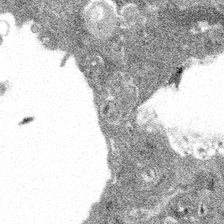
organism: Spongilla lacustris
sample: Multiple